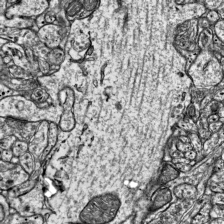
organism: Mouse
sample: Visual Cortex